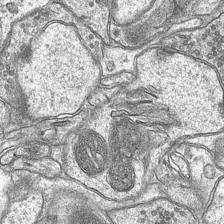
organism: Mouse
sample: CA1 Hippocampus